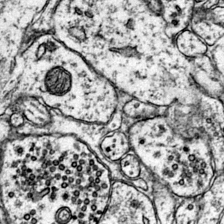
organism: Mouse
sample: Primary visual cortex